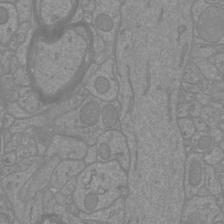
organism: Mouse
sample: Cortical neurons